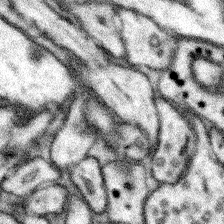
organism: Mouse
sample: Somatosensory cortex neuropil